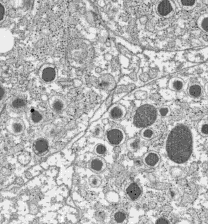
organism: C57BL Mouse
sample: Pancreatic islet